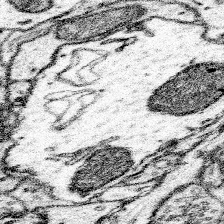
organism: Mouse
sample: Somatosensory cortex neuropil